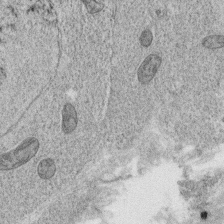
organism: C. elegans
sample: C. elegans oocyte; sperm cells